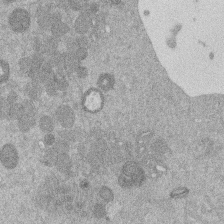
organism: Mouse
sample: Dividing mouse embryo 1 cell stage